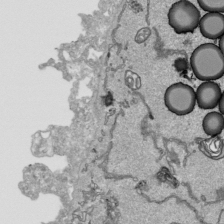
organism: Human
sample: Mitochondria in HCT116 cells